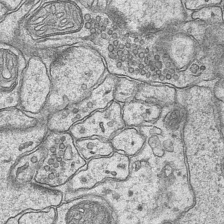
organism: Mouse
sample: CA1 Hippocampus